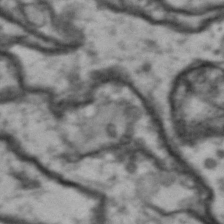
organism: Drosophila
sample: Brain